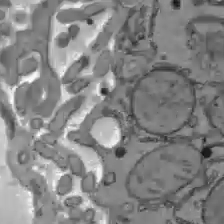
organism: C57BL Mouse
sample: Liver